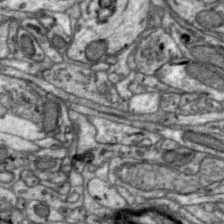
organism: Zebra finch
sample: Brain